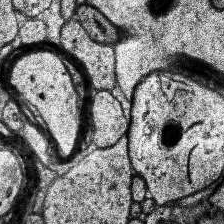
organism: Human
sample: Temporal Lobe